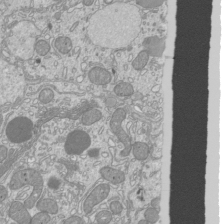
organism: Mouse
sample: Cilia; mouse epididymis